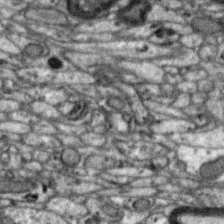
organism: Zebra finch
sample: Brain